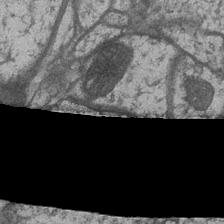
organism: Drosophila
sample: Optic medulla